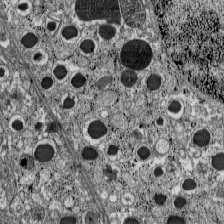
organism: C57BL Mouse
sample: Pancreatic islet